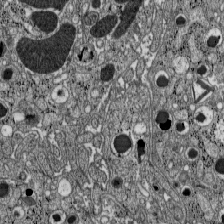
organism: C57BL Mouse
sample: Pancreatic islet